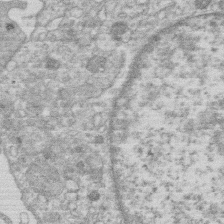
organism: Human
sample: Macrophage cells